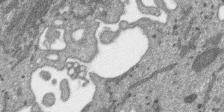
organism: Human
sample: Lung epithelial cells infected with SARS-CoV-2